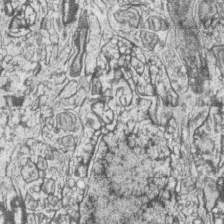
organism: Zebrafish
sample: synaptic ribbons in rod cells and cone cells